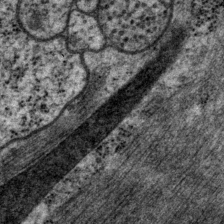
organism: P. pacificus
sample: Pharynx